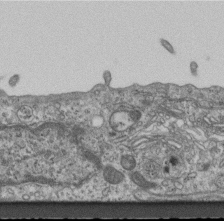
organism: Mouse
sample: Centriole in ependymal cells